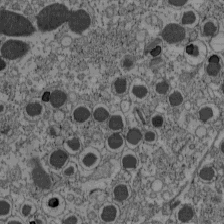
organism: C57BL Mouse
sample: Pancreatic islet